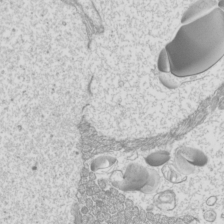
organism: Mouse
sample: Cilia; mouse epididymis